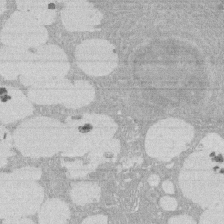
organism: Rat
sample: Salivary granule